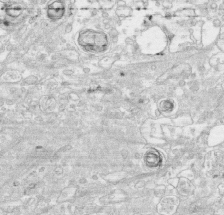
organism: Human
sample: CRL-1474